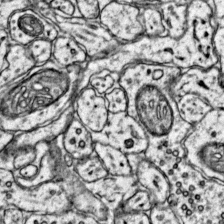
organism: Mouse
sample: Primary visual cortex